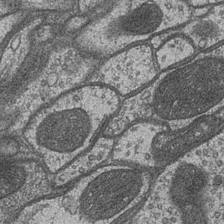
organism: Drosophila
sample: Optic medulla